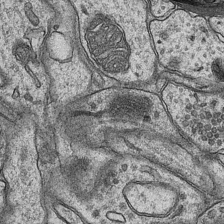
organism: Mouse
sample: CA1 Hippocampus